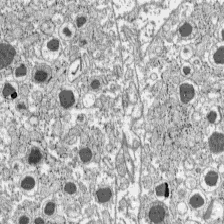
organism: C57BL Mouse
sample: Pancreatic islet